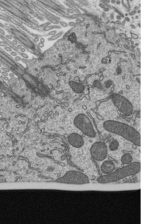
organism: Mouse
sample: Mouse epididymis efferent ductule cilia